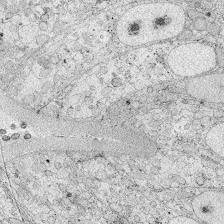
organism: Zebrafish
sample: Whole-Brain